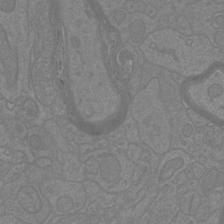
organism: Mouse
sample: Cortical neurons